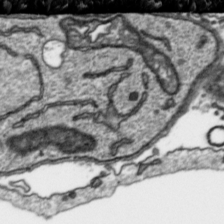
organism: Toxoplasma gondii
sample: Parasites in a vacuole inside a host cell